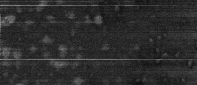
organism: Human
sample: Centriole in fibroblast cells